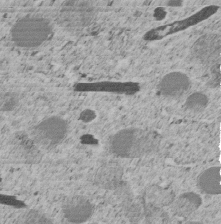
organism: C. elegans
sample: C. elegans embryo early stage